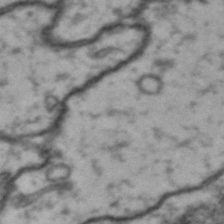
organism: Drosophila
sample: Brain